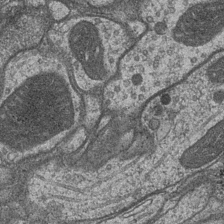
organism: Drosophila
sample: Optic medulla